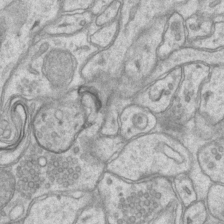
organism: Mouse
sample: CA1 Hippocampus